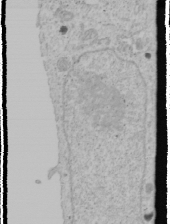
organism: Human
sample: Mitochondria in U2OS cells